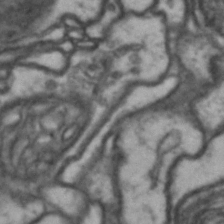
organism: Drosophila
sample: Brain